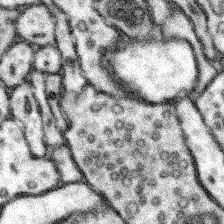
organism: Mouse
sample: Somatosensory cortex neuropil